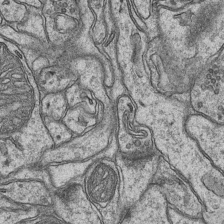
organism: Mouse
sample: CA1 Hippocampus